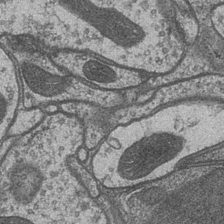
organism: Drosophila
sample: Optic medulla